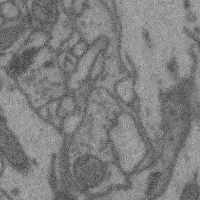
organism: Mouse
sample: Cerebral cortex